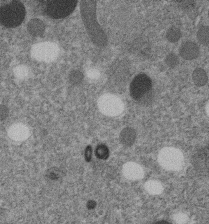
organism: C. elegans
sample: C. elegans embryo early stage